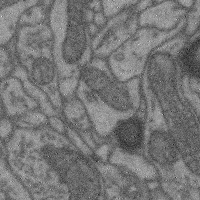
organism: Mouse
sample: Cerebral cortex